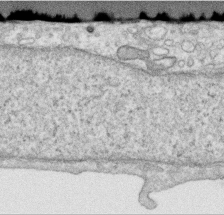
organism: Human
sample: Centriole in RPE cells